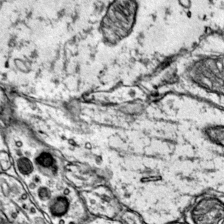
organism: Mouse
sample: Primary visual cortex